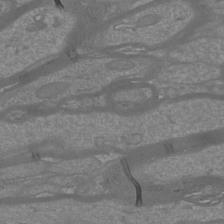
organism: Mouse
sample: Cortical neurons